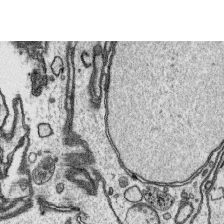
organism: Platynereis dumerilii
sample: Parapodia